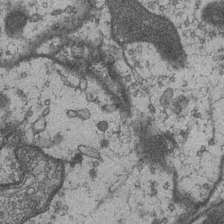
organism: Drosophila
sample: Optic medulla